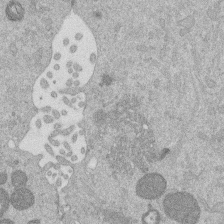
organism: Mouse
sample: Dividing mouse embryo 1 cell stage